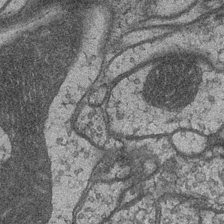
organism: Drosophila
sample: Optic medulla